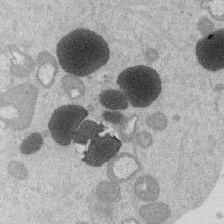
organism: Mouse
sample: Dividing mouse embryo 1 cell stage